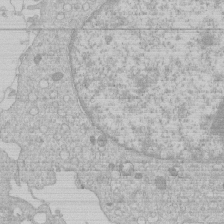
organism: Human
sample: Macrophage cells